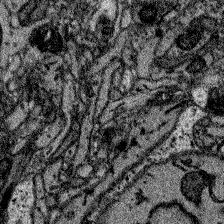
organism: Zebrafish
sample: Larval olfactory bulb